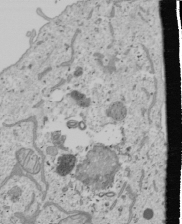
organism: Human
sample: Mitochondria in U2OS cells